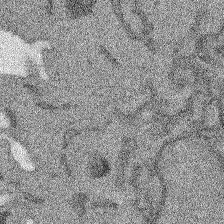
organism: Human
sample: HeLa cells